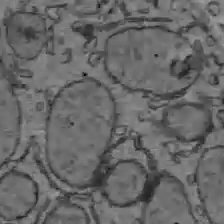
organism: C57BL Mouse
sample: Liver